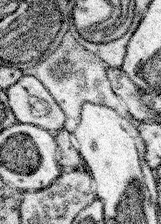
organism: Mouse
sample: Somatosensory cortex neuropil